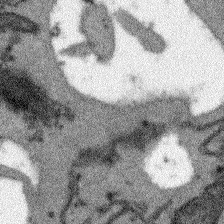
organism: Arabidopsis thaliana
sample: Root tip